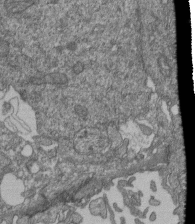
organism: Human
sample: Retinal organoid Rod and Cone cells